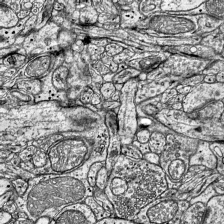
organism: Mouse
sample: Visual Cortex